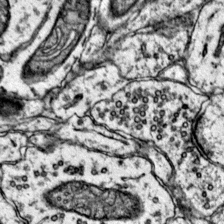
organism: Mouse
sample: Primary visual cortex